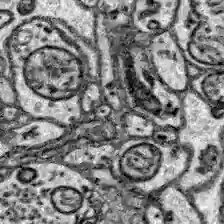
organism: Zebrafish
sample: Brain